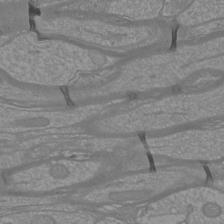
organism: Mouse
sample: Cortical neurons